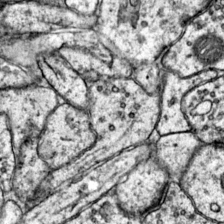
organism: Mouse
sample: Primary visual cortex